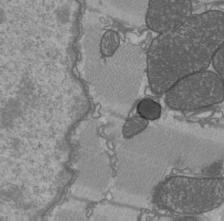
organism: C57BL Mouse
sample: Heart